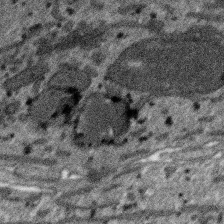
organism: Human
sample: Lung epithelial cells infected with SARS-CoV-2